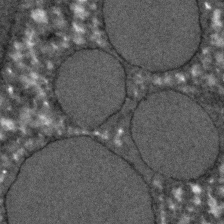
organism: C. elegans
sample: C. elegans embryo